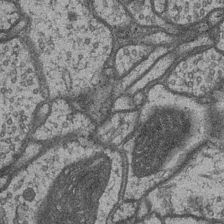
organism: Drosophila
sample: Optic medulla